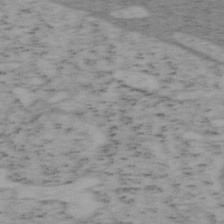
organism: Mouse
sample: OT-I killer T cells with ID8 ovarian cancer cells